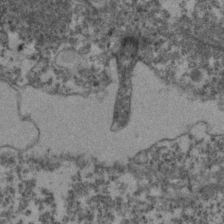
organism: Zebrafish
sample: Zebrafish embryo